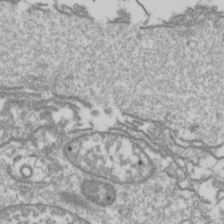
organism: Drosophila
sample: Cell division; meiosis; drosophila spermatocytes